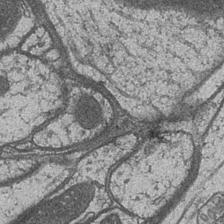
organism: Drosophila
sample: Optic medulla